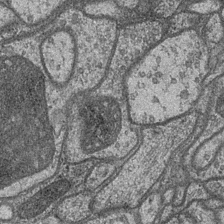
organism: Drosophila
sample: Optic medulla